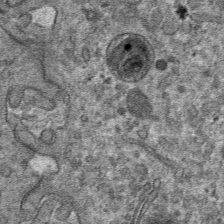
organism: Mouse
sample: Mouse hepatocytes